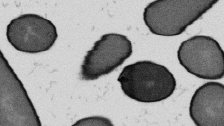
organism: B. subtilis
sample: Bacterial spore